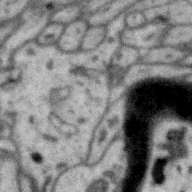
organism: Zebra finch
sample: Brain